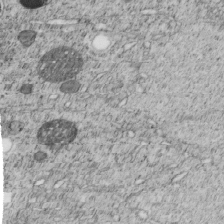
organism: C. elegans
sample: C. elegans embryo early stage